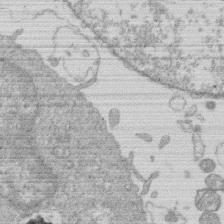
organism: Human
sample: Macrophage cells